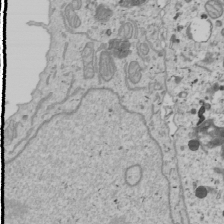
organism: Human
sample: Mitochondria in U2OS cells